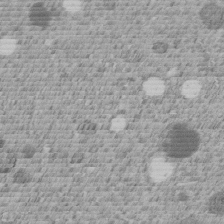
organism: C. elegans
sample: C. elegans embryo early stage